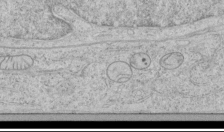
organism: Human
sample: Mitochondria in HCT116 cells